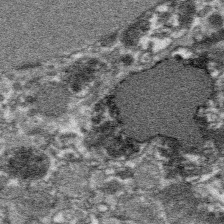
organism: Platynereis dumerilii